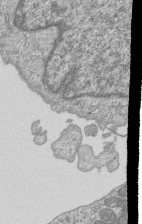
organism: Human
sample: MDA-MB-231 cells